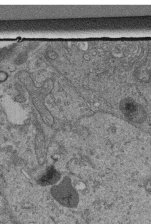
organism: Human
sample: Retinal organoid Rod and Cone cells